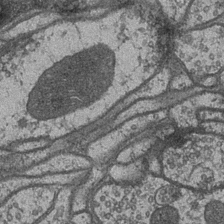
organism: Drosophila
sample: Optic medulla